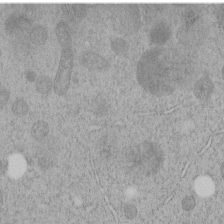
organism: C. elegans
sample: C. elegans embryo early stage